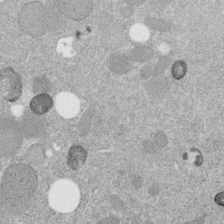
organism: C. elegans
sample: C. elegans embryo early stage